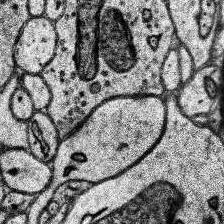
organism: Human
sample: Temporal Lobe